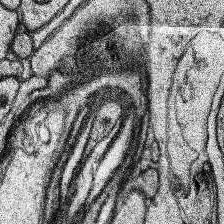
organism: Human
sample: Temporal Lobe